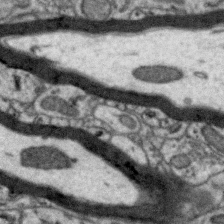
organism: Zebra finch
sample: Brain